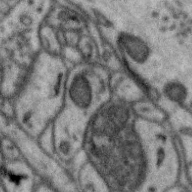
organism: Zebra finch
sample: Brain